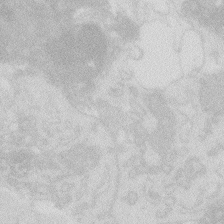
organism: Zebrafish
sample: Macrophage